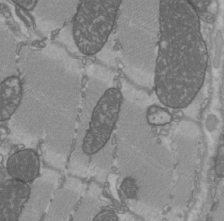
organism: C57BL Mouse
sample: Heart